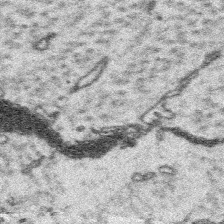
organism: Platynereis dumerilii